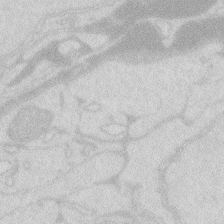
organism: Zebrafish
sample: Macrophage